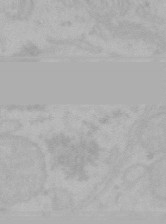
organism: Mouse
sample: Choroid plexus